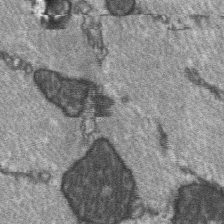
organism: C57BL Mouse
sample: Soleus